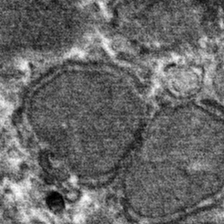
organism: Mouse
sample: Mouse hepatocytes